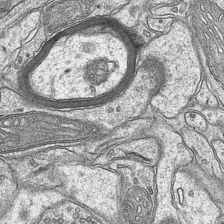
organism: Mouse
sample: CA1 Hippocampus